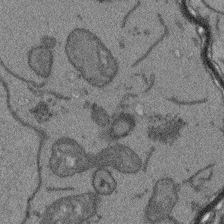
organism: Arabidopsis thaliana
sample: Root tip